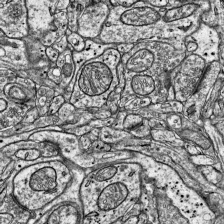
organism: Mouse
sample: Visual Cortex